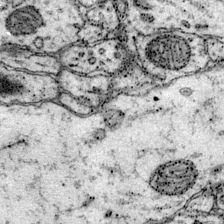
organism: Mouse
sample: Primary visual cortex